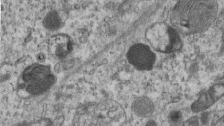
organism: Mouse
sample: Centriole in ependymal cells